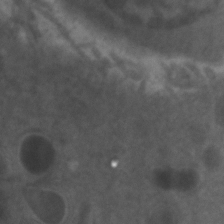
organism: Zebrafish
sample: Zebrafish embryo